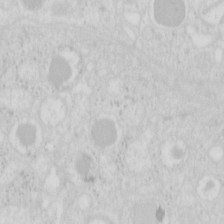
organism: Mouse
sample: Pancreas